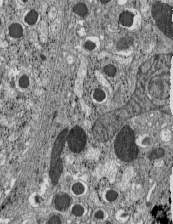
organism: C57BL Mouse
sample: Pancreatic islet